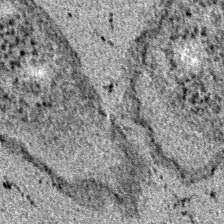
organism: E. coli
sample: E. Coli Bacteria